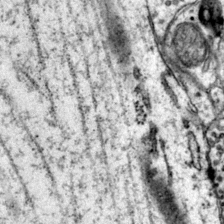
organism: Mouse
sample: Primary visual cortex